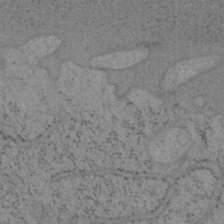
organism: Mouse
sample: OT-I killer T cells with ID8 ovarian cancer cells